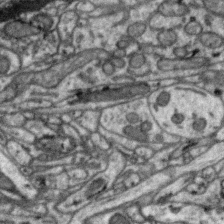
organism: Zebra finch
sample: Brain